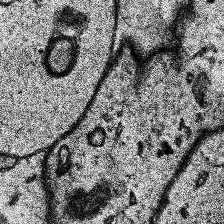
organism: Human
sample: Temporal Lobe